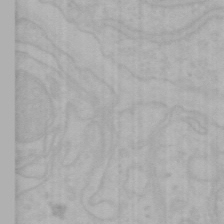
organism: Mouse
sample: Choroid plexus